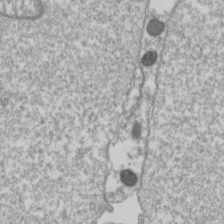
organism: Drosophila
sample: Cell division; meiosis; drosophila spermatocytes